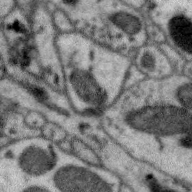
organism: Zebra finch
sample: Brain